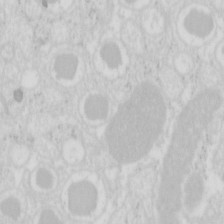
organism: Mouse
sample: Pancreas